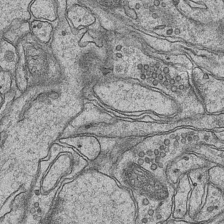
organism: Mouse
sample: CA1 Hippocampus